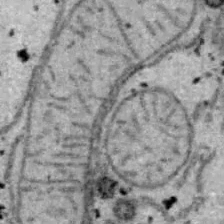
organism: Mouse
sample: Liver from an obese (ob/ob) mouse